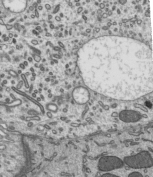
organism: Mouse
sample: Mouse epididymis efferent ductule cilia